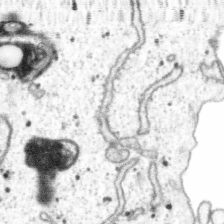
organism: Human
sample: HeLa cells